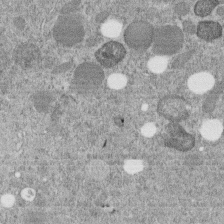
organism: C. elegans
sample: C. elegans embryo early stage